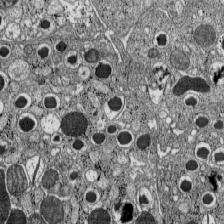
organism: C57BL Mouse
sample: Pancreatic islet